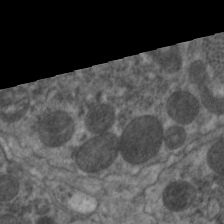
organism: C. elegans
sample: Pharynx